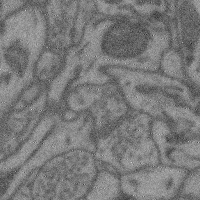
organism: Mouse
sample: Cerebral cortex